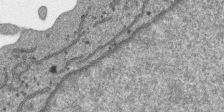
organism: Human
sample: Lung epithelial cells infected with SARS-CoV-2